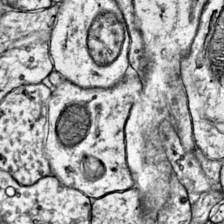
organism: Mouse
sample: Primary visual cortex